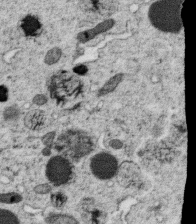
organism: C. elegans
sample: C. elegans oocyte; sperm cells